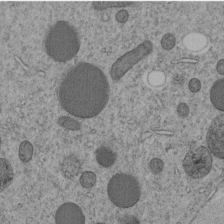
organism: C. elegans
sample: C. elegans embryo early stage